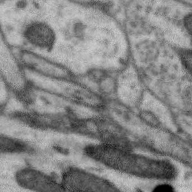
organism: Zebra finch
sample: Brain